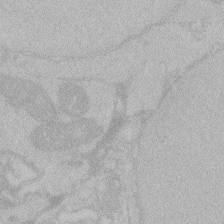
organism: Zebrafish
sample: Macrophage infected with Toxoplasma gondii